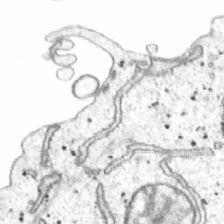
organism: Human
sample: HeLa cells